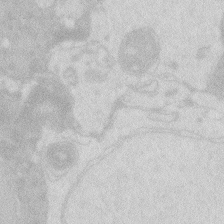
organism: Zebrafish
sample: Macrophage